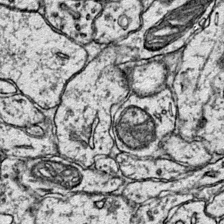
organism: Mouse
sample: Primary visual cortex